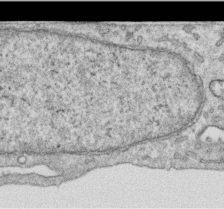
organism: Human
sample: Centriole in RPE cells